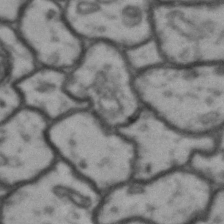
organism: Drosophila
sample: Brain